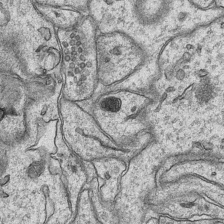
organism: Mouse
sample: CA1 Hippocampus